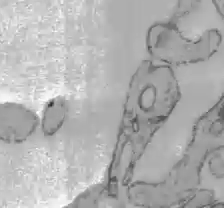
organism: C57BL Mouse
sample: Liver